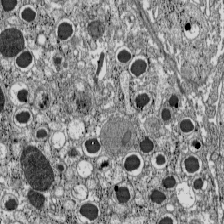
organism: C57BL Mouse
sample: Pancreatic islet